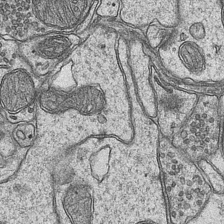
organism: Mouse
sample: CA1 Hippocampus